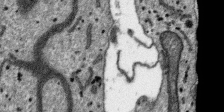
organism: Human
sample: Lung epithelial cells, uninfected (mock) control